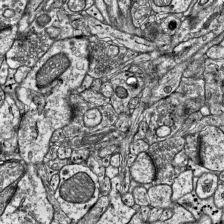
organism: Mouse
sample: Visual Cortex